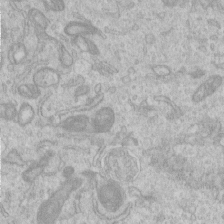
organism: Human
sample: Centriole in RPE cells